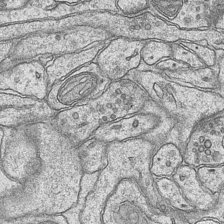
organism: Mouse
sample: CA1 Hippocampus